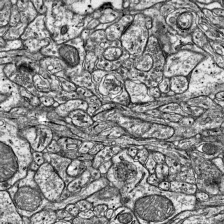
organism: Mouse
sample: Visual Cortex